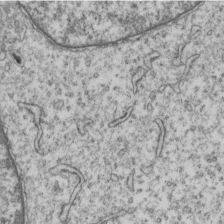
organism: Human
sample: MDA-MB-231 cells